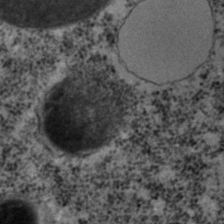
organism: C. elegans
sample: C. elegans embryo